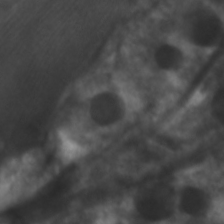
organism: C. elegans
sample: Pharynx